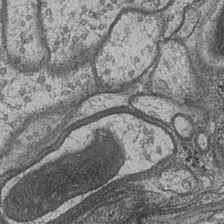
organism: Drosophila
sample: Optic medulla